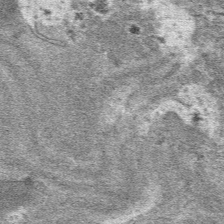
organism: Mouse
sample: Mouse hepatocytes